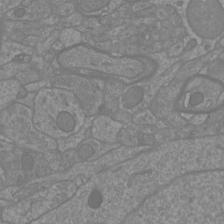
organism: Mouse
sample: Cortical neurons